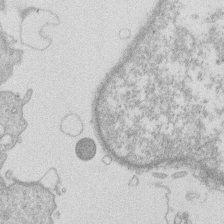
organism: Human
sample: Macrophage cells